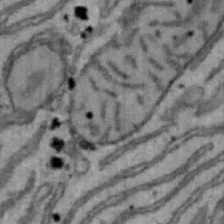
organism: Mouse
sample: Liver